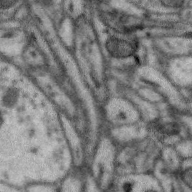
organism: Zebra finch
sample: Brain